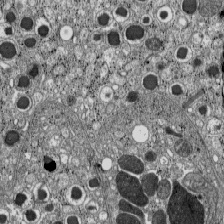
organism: C57BL Mouse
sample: Pancreatic islet